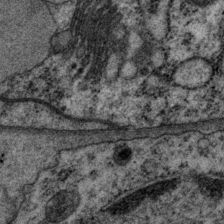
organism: P. pacificus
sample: Pharynx